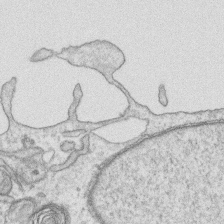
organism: Human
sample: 1205lu cells